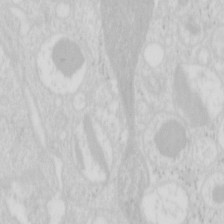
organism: Mouse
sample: Pancreas